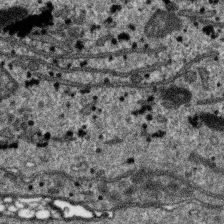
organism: Human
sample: Lung epithelial cells infected with SARS-CoV-2